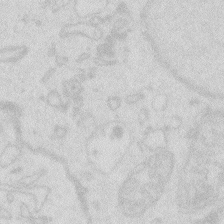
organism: Zebrafish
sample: Macrophage